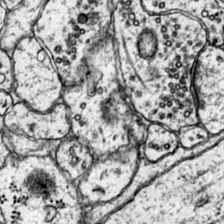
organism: Mouse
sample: Primary visual cortex